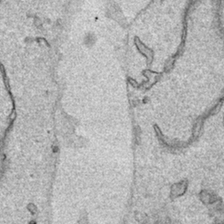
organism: Human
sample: Mitochondria in HCT116 cells